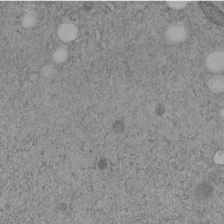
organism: C. elegans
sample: C. elegans embryo early stage